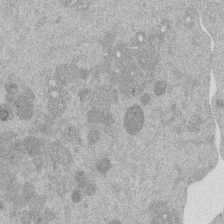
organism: Mouse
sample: Dividing mouse embryo 1 cell stage